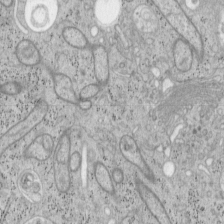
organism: Mouse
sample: OT-I killer T cells with ID8 ovarian cancer cells